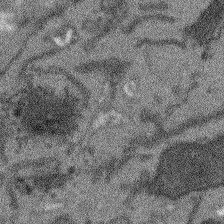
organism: Arabidopsis thaliana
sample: Root tip